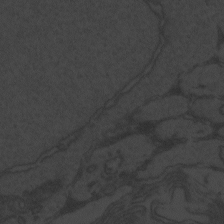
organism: Zebrafish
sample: Macrophage infected with Toxoplasma gondii